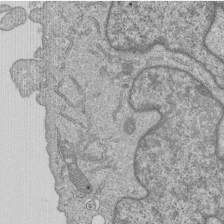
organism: Human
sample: MDA-MB-231 cells